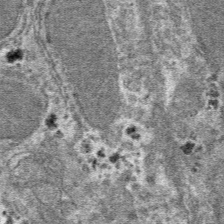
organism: Mouse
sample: Mouse hepatocytes